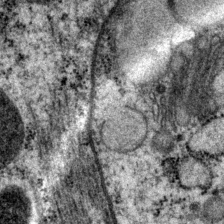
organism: P. pacificus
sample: Pharynx